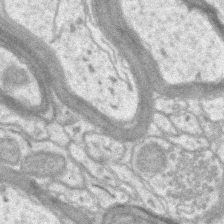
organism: Mouse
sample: CA1 Hippocampus